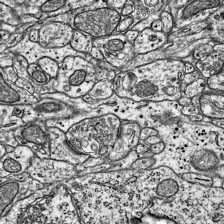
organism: Mouse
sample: Visual Cortex